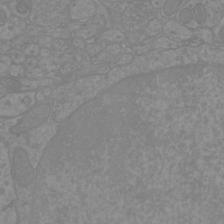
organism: Mouse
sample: Cortical neurons